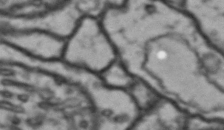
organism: Drosophila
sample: Brain